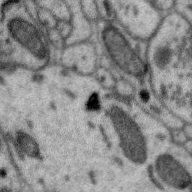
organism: Zebra finch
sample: Brain